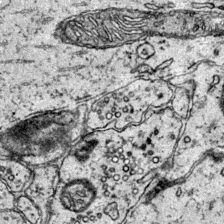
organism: Mouse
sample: Primary visual cortex